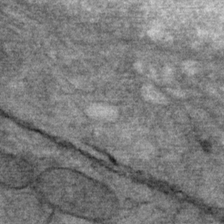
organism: Mouse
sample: Mouse Salivary gland